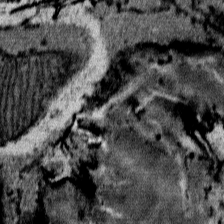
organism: Mouse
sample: Mouse Salivary gland